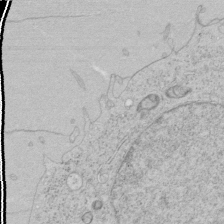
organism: Human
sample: Mitochondria in HCT116 cells